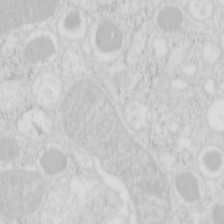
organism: Mouse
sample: Pancreas